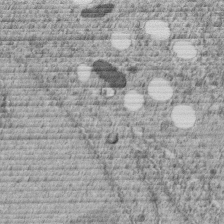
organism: C. elegans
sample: C. elegans embryo early stage